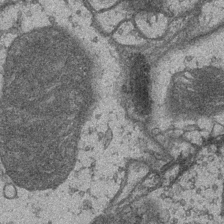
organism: Drosophila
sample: Optic medulla